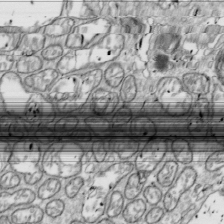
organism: Drosophila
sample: Cell division; meiosis; drosophila spermatocytes